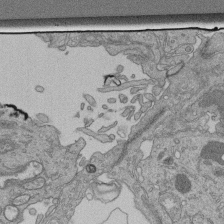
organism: Human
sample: Retinal organoid Rod and Cone cells